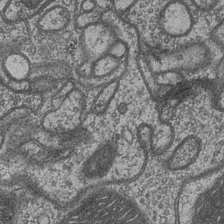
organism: Drosophila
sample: Optic medulla